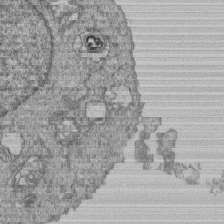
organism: Human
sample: MDA-MB-231 cells